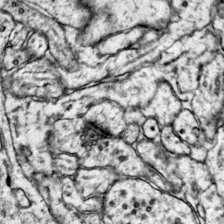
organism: Mouse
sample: Primary visual cortex